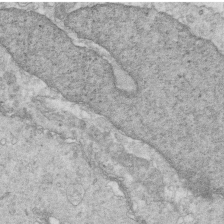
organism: Mouse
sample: Multiciliated cells